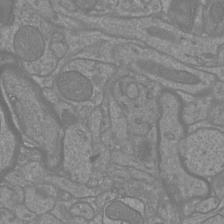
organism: Mouse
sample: Cortical neurons